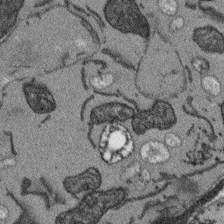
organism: Arabidopsis thaliana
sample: Root tip